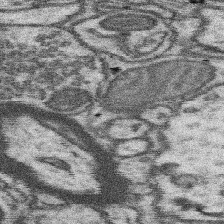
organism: Mouse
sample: Somatosensory cortex neuropil